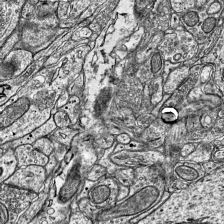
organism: Mouse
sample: Visual Cortex